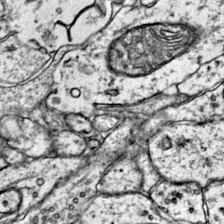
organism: Mouse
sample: Primary visual cortex